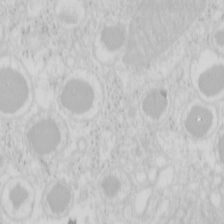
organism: Mouse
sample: Pancreas